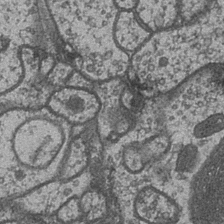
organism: Drosophila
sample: Optic medulla